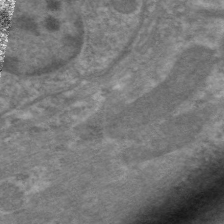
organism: C. elegans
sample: Pharynx